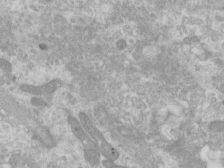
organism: Human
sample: Centriole in RPE cells